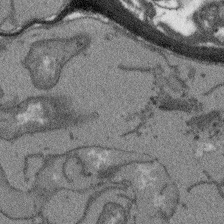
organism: Arabidopsis thaliana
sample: Root tip